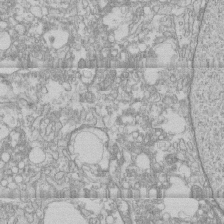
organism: Human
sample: CRL-1474